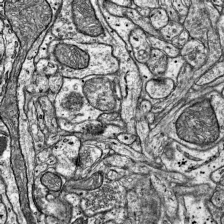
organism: Mouse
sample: Visual Cortex